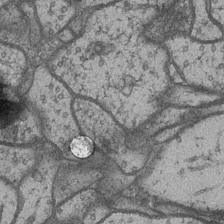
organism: Drosophila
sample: Optic medulla